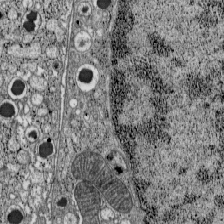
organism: C57BL Mouse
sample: Pancreatic islet